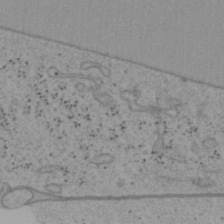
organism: Human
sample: HeLa cells